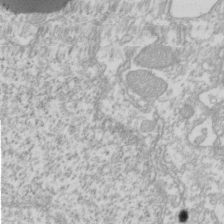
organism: Xenopus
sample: Cilia; centrioles in frog embryo cells